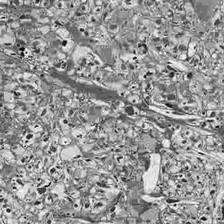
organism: Drosophila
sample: Optic lobe